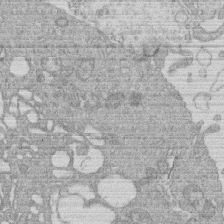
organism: Human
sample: Macrophage cells